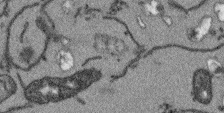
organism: Arabidopsis thaliana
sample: Root tip